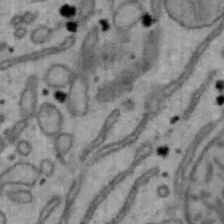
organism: Mouse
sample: Liver